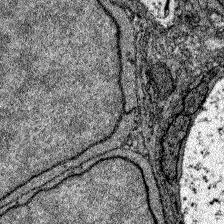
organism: Zebrafish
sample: Larval olfactory bulb